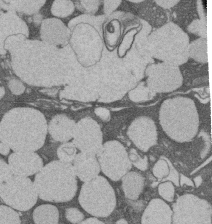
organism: Rat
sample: Salivary granule